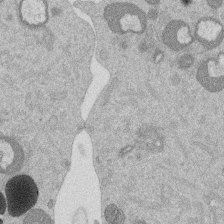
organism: Mouse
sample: Dividing mouse embryo 1 cell stage